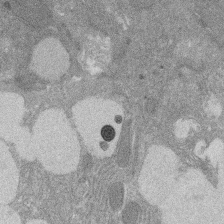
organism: Rat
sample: Salivary granule